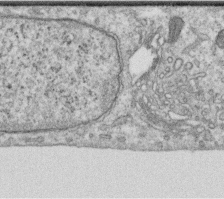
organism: Human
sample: Centriole in RPE cells